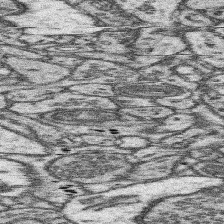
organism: Mouse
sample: Somatosensory cortex neuropil